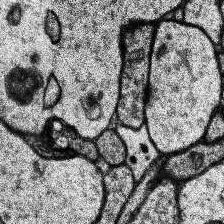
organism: Human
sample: Temporal Lobe